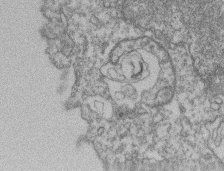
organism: Mouse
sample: T cell stromal cell synapse